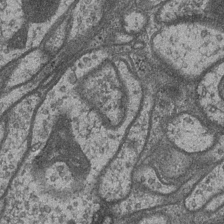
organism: Drosophila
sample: Optic medulla